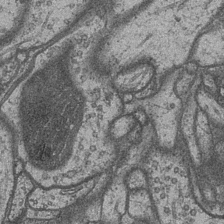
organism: Drosophila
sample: Optic medulla